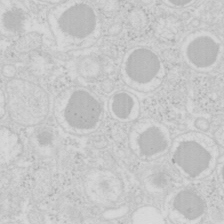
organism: Mouse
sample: Pancreas